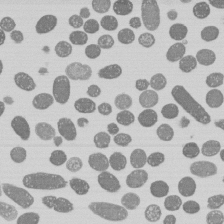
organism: E. coli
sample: Bacterial nucleoid